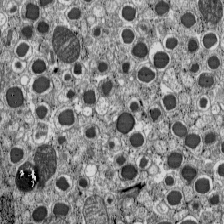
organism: C57BL Mouse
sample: Pancreatic islet